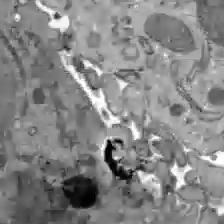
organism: C57BL Mouse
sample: Liver